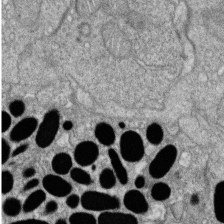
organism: Zebrafish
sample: Cilia; retinal pigment epithelium